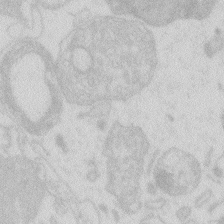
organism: Zebrafish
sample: Macrophage